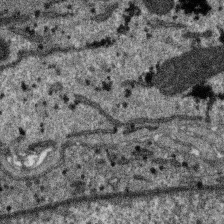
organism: Human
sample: Lung epithelial cells infected with SARS-CoV-2